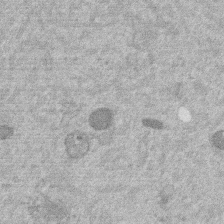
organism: Mouse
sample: Dividing mouse embryo 1 cell stage